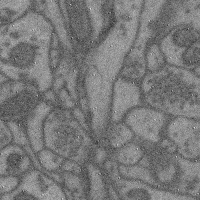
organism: Mouse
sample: Cerebral cortex